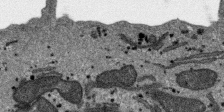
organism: Human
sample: Lung epithelial cells, uninfected (mock) control